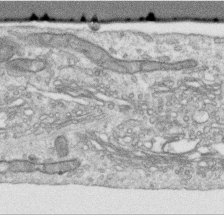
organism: Human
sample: Centriole in RPE cells